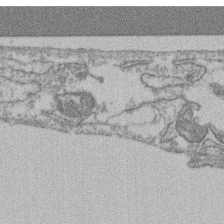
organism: Mouse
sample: T cell stromal cell synapse